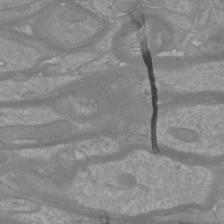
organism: Mouse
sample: Cortical neurons